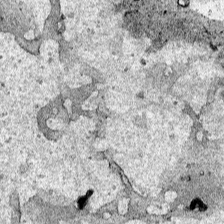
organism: Human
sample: Mitochondria in HCT116 cells